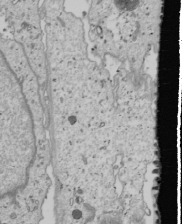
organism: Human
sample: Mitochondria in U2OS cells